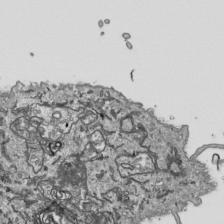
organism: Human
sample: Mitochondria in HCT116 cells